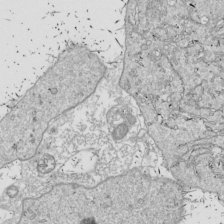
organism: Drosophila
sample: Cell division; meiosis; drosophila spermatocytes